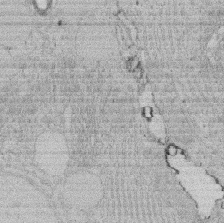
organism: Rat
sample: Salivary granule